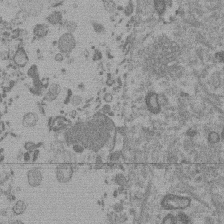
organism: Mouse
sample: Dividing mouse embryo 1 cell stage